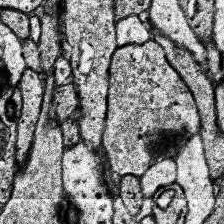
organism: Human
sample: Temporal Lobe